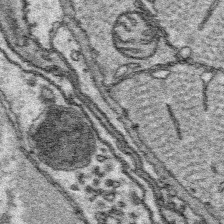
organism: Platynereis dumerilii